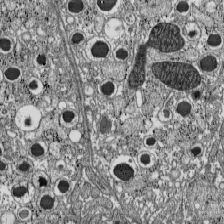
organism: C57BL Mouse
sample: Pancreatic islet